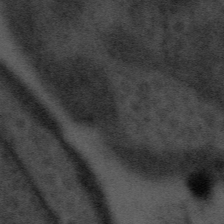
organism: Tuwongella immobilis